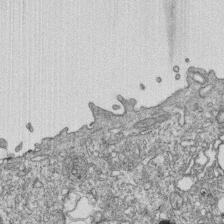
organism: Human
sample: HeLa cell HIV synapse